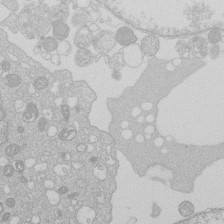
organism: Human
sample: Macrophage cells